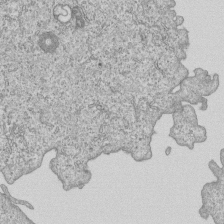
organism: Human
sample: MDA-MB-231 cells